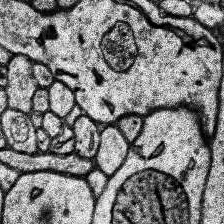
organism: Human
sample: Temporal Lobe